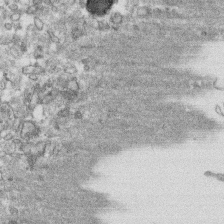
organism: Human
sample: CRL-1474